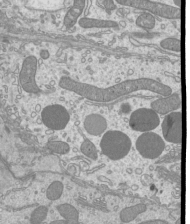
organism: Mouse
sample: Cilia; mouse epididymis